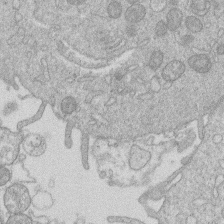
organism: Human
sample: Macrophage cells